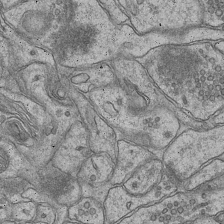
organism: Mouse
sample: CA1 Hippocampus